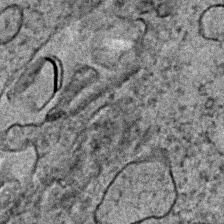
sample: Trachea